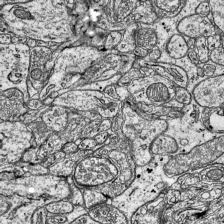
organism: Mouse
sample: Visual Cortex